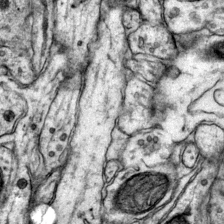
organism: Mouse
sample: Primary visual cortex